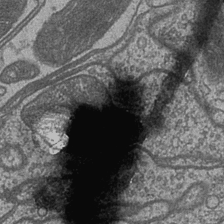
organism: Drosophila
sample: Optic medulla